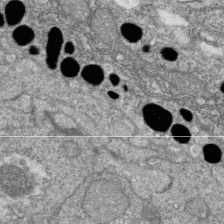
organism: Zebrafish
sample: Cilia; retinal pigment epithelium